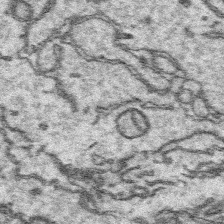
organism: Platynereis dumerilii